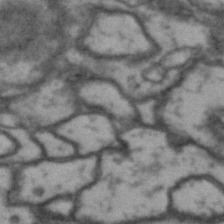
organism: Drosophila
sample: Brain